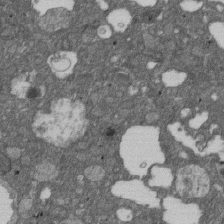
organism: Drosophila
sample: Nephrocyte